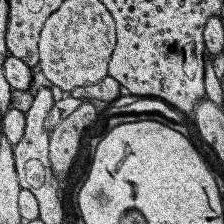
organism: Human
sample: Temporal Lobe